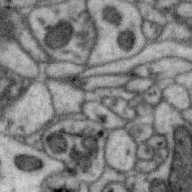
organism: Zebra finch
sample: Brain